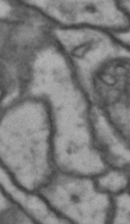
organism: Drosophila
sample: Brain